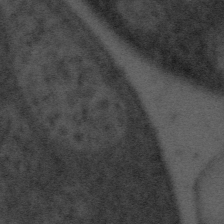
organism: Tuwongella immobilis